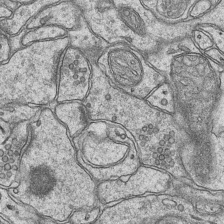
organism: Mouse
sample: CA1 Hippocampus